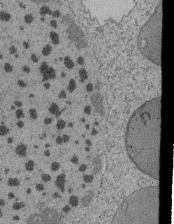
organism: Tetrahymena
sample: Cilia in tetrahymena